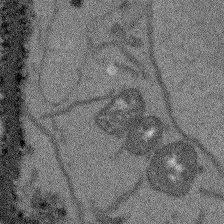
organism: Arabidopsis thaliana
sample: Root tip